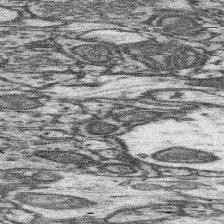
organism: Mouse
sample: Somatosensory cortex neuropil